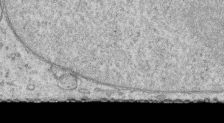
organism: Human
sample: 1205lu cells